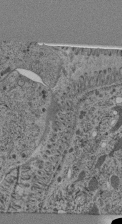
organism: C. elegans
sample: C. elegans pharynx